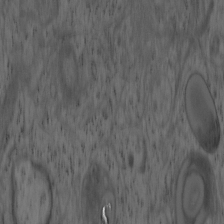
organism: Human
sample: HeLa cells